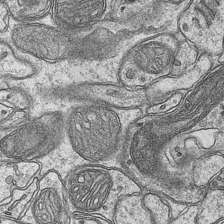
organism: Mouse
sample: CA1 Hippocampus